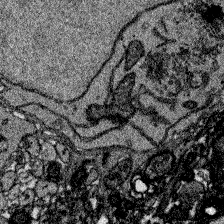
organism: Zebrafish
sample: Larval olfactory bulb